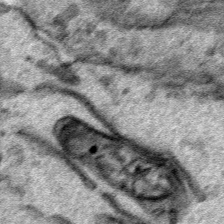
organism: Human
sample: Mitochondria in HCT116 cells